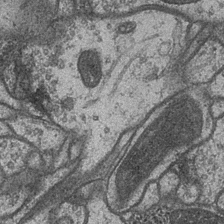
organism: Drosophila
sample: Optic medulla